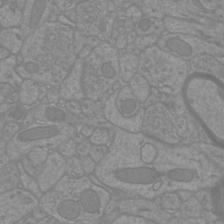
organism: Mouse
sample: Cortical neurons